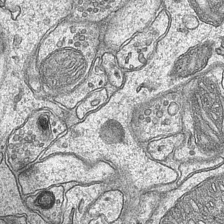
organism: Mouse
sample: CA1 Hippocampus